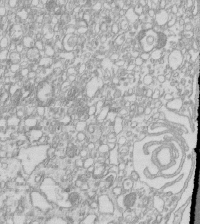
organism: Mouse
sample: Macrophages